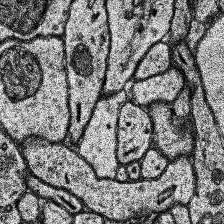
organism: Human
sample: Temporal Lobe